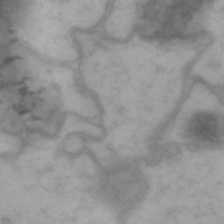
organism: Drosophila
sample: Brain